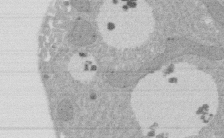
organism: Rat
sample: Salivary granule